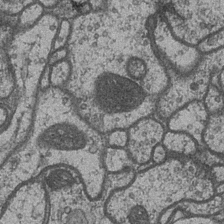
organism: Drosophila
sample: Optic medulla